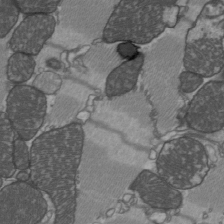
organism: C57BL Mouse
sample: Heart